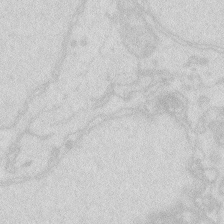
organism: Zebrafish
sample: Macrophage